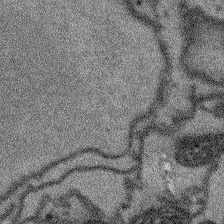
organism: Arabidopsis thaliana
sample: Root tip